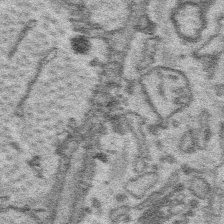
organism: Platynereis dumerilii